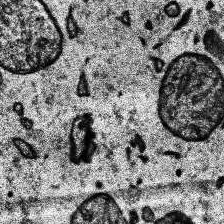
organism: Human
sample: Temporal Lobe